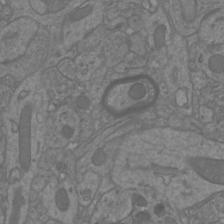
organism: Mouse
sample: Cortical neurons